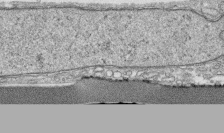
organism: Human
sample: CRL-1474